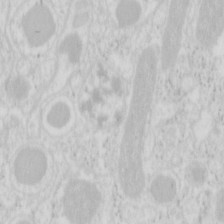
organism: Mouse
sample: Pancreas